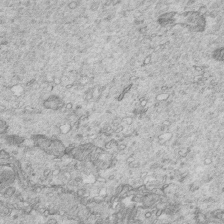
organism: Mouse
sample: Multiciliated cells